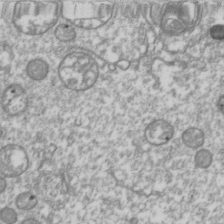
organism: Drosophila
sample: Cell division; meiosis; drosophila spermatocytes